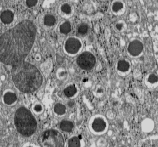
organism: C57BL Mouse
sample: Pancreatic islet